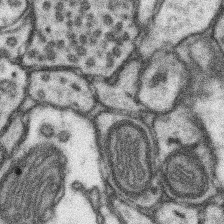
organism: Mouse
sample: Somatosensory cortex neuropil